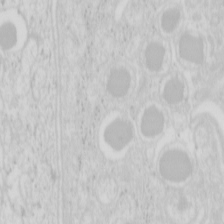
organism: Mouse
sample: Pancreas